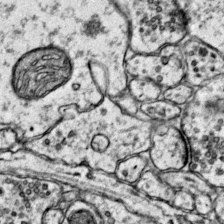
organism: Mouse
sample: Primary visual cortex